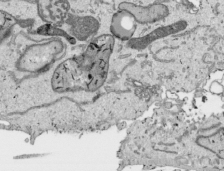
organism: Human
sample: Mitochondria in HCT116 cells